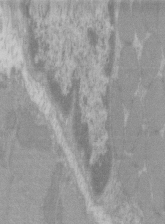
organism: C57BL Mouse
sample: Tibialis anterior muscle cell